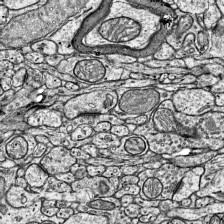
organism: Mouse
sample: Visual Cortex